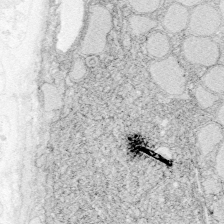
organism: Zebrafish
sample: Whole-Brain